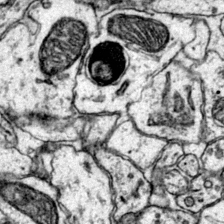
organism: Mouse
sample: Primary visual cortex